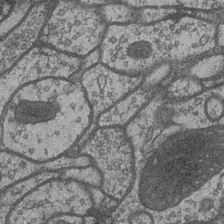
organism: Drosophila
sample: Optic medulla